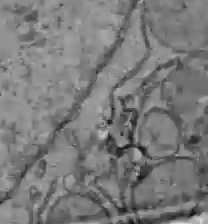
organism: C57BL Mouse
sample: Liver